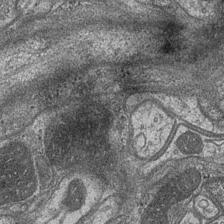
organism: Drosophila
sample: Optic medulla